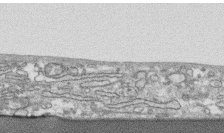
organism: Human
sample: CRL-1474